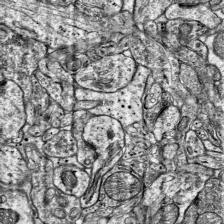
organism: Mouse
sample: Visual Cortex